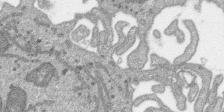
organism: Human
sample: Lung epithelial cells infected with SARS-CoV-2